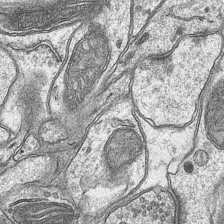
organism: Mouse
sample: CA1 Hippocampus